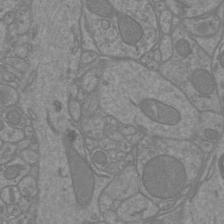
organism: Mouse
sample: Cortical neurons